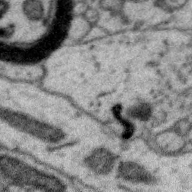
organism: Zebra finch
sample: Brain